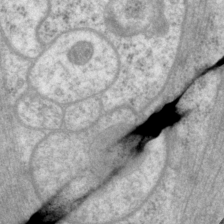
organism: P. pacificus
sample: Pharynx